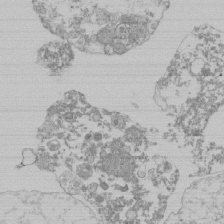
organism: Mouse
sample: Activated Pmel transgenic CD8+ T Cells